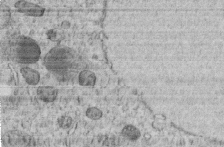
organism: C. elegans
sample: C. elegans embryo early stage